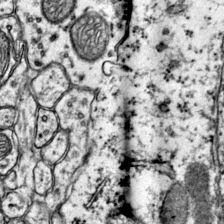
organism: Mouse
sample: Primary visual cortex